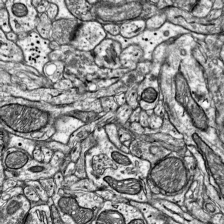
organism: Mouse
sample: Visual Cortex